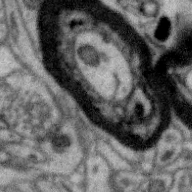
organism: Zebra finch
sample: Brain